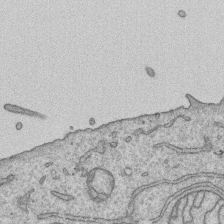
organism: Human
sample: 1205lu cells